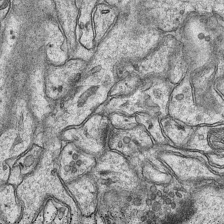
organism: Mouse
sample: CA1 Hippocampus